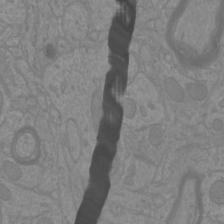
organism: Mouse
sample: Cortical neurons